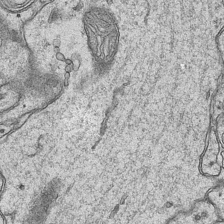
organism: Mouse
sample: CA1 Hippocampus